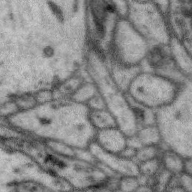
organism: Zebra finch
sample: Brain